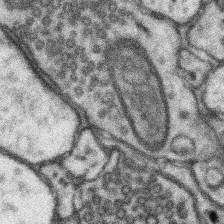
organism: Mouse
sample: Somatosensory cortex neuropil